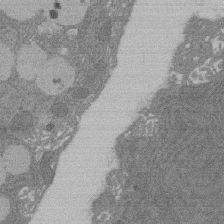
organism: Rat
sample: Salivary granule